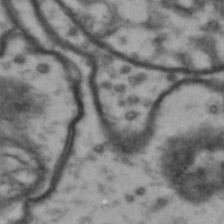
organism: Drosophila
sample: Brain